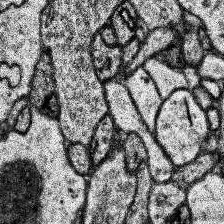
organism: Human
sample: Temporal Lobe